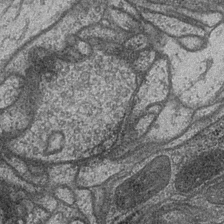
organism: Drosophila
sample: Optic medulla